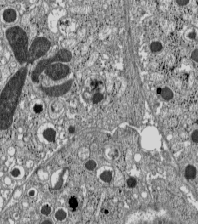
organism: C57BL Mouse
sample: Pancreatic islet